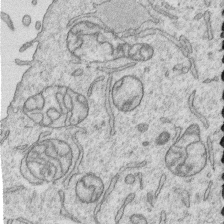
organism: Human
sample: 1205lu cells